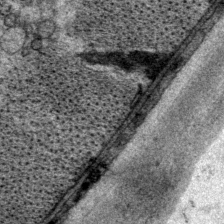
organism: P. pacificus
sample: Pharynx